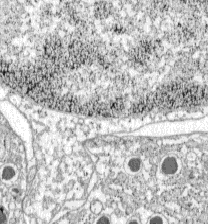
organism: C57BL Mouse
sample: Pancreatic islet